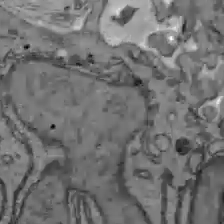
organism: C57BL Mouse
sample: Liver